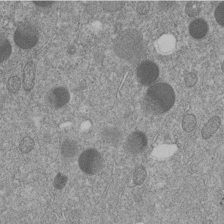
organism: C. elegans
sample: C. elegans embryo early stage